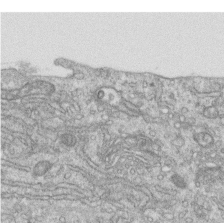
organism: Human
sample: Centriole in RPE cells